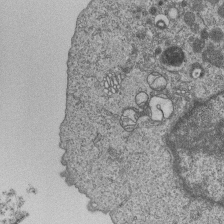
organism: Human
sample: MDA-MB-231 cells